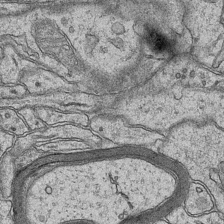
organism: Mouse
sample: CA1 Hippocampus